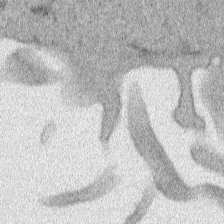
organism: Human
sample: Mitochondria in HCT116 cells